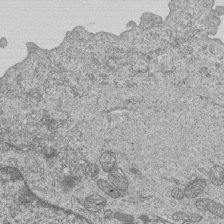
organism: Human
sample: MDA-MB-231 cells